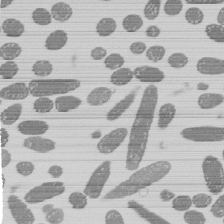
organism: E. coli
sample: Bacterial nucleoid